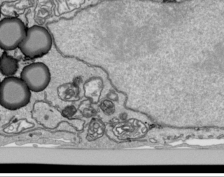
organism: Human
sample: Mitochondria in HCT116 cells